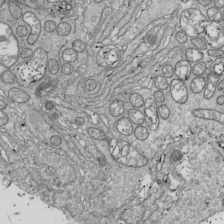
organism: Drosophila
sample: Cell division; meiosis; drosophila spermatocytes